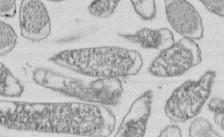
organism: E. coli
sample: Bacterial nucleoid